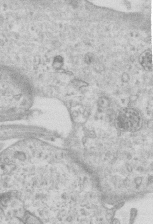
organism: Mouse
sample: Centriole in ependymal cells